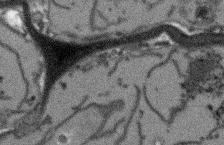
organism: Arabidopsis thaliana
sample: Root tip